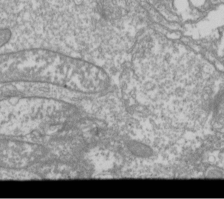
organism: Drosophila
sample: Cell division; meiosis; drosophila spermatocytes